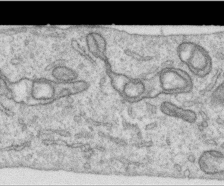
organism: Human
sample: Centriole in RPE cells